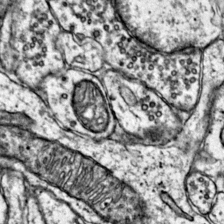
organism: Mouse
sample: Primary visual cortex